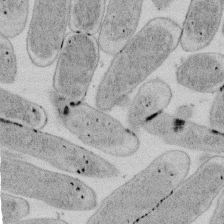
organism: E. coli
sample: Bacterial nucleoid